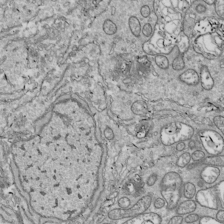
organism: Drosophila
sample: Cell division; meiosis; drosophila spermatocytes